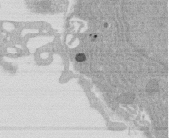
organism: Rat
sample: Salivary granule